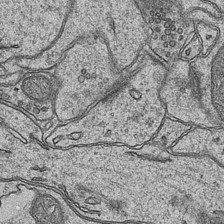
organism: Mouse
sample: CA1 Hippocampus